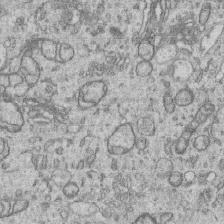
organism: Human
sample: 1205lu cells